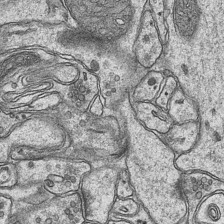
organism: Mouse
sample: CA1 Hippocampus